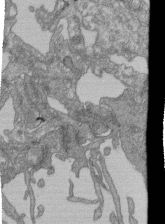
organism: Human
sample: Retinal organoid Rod and Cone cells